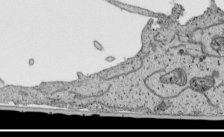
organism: Human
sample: Mitochondria in HCT116 cells